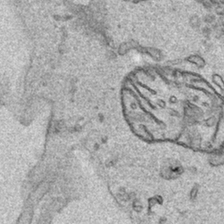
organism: Human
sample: Mitochondria in HCT116 cells